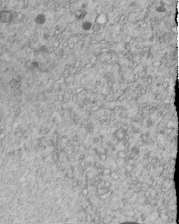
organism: C. elegans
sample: C. elegans embryo early stage